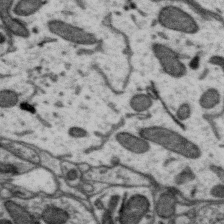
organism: Zebra finch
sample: Brain